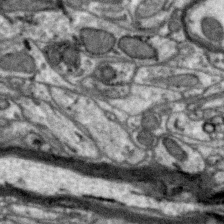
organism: Zebra finch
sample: Brain